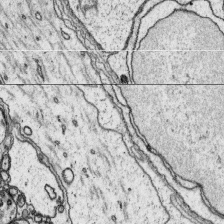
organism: Platynereis dumerilii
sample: Parapodia